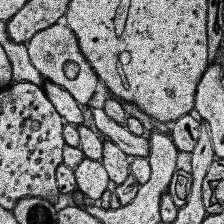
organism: Human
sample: Temporal Lobe